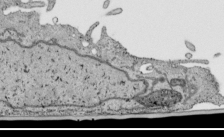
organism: Human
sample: Mitochondria in HCT116 cells